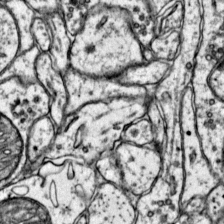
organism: Mouse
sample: Primary visual cortex